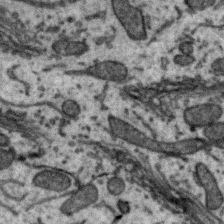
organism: Zebra finch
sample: Brain